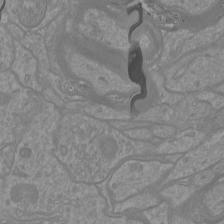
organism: Mouse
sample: Cortical neurons